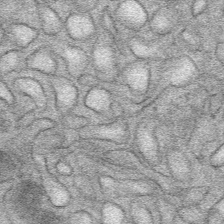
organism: Mouse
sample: Mouse Salivary gland